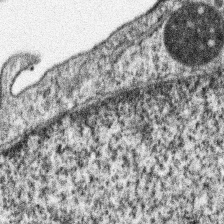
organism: Human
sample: HeLa cells